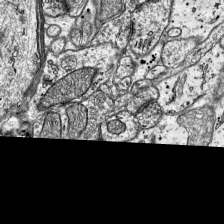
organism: Mouse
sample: Visual Cortex